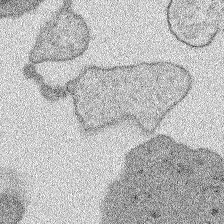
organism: Human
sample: HeLa cells